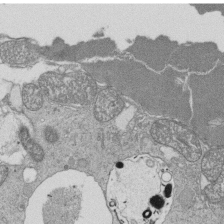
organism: Tetrahymena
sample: Cilia in tetrahymena